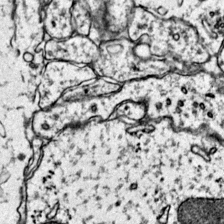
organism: Mouse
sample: Primary visual cortex